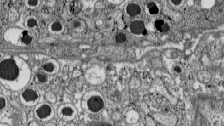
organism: C57BL Mouse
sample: Pancreatic islet